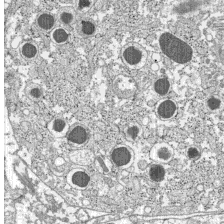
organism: C57BL Mouse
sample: Pancreatic islet